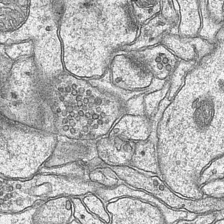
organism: Mouse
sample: CA1 Hippocampus